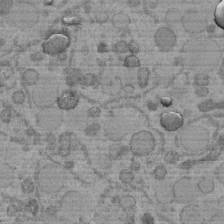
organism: C. elegans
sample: C. elegans embryo early stage